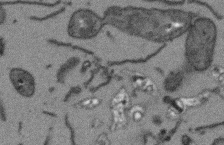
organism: Arabidopsis thaliana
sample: Root tip